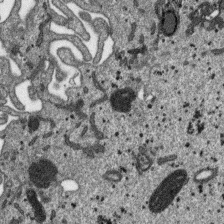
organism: Human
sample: Lung epithelial cells infected with SARS-CoV-2